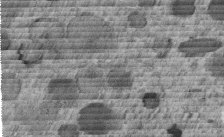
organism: C. elegans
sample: C. elegans embryo early stage